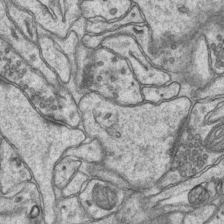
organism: Mouse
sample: CA1 Hippocampus